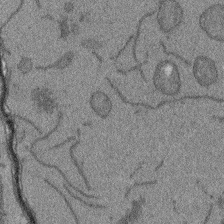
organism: Arabidopsis thaliana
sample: Root tip